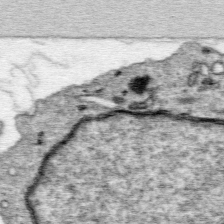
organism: Human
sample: HeLa cells